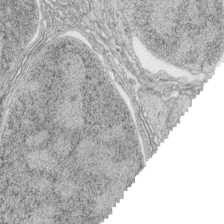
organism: Zebrafish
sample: synaptic ribbons in rod cells and cone cells